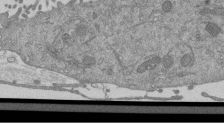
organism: Mouse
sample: ED-1 cell nuclei; centrioles